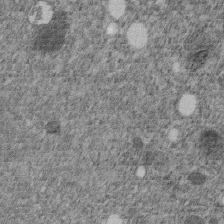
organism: C. elegans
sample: C. elegans embryo early stage